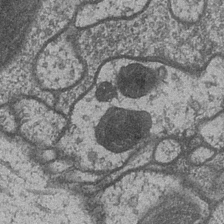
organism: Drosophila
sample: Optic medulla